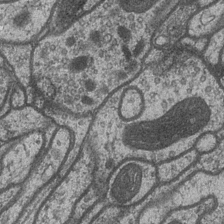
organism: Drosophila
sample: Optic medulla